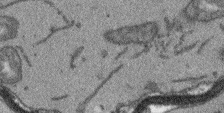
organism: Arabidopsis thaliana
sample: Root tip